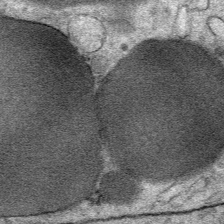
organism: Mouse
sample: Mouse Salivary gland